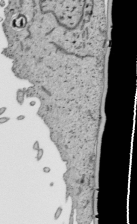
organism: Human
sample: Mitochondria in HCT116 cells